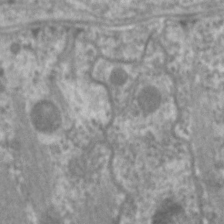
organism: C. elegans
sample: Pharynx